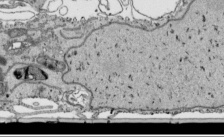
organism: Human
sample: Mitochondria in HCT116 cells